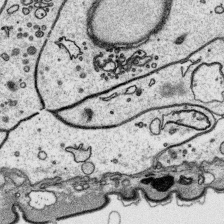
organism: Platynereis dumerilii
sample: Parapodia